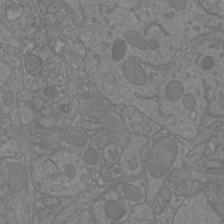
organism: Mouse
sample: Cortical neurons